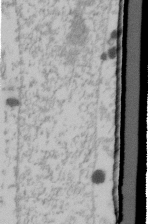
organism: Human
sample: U2-OS cells